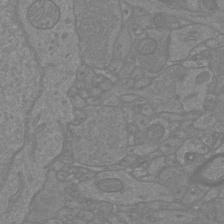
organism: Mouse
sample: Cortical neurons